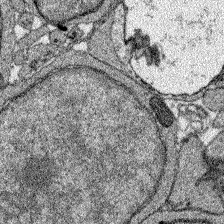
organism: Zebrafish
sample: Larval olfactory bulb